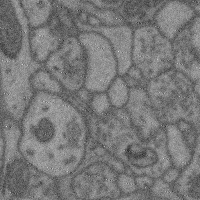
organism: Mouse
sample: Cerebral cortex